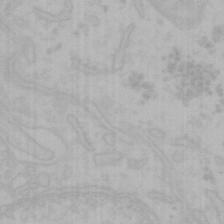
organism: Mouse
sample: Choroid plexus